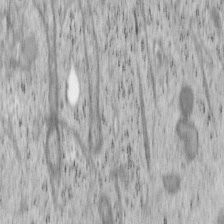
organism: Human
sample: HeLa cells